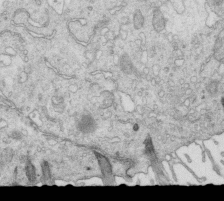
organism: Mouse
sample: Multiciliated cells